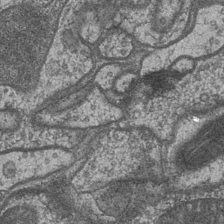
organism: Drosophila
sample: Optic medulla